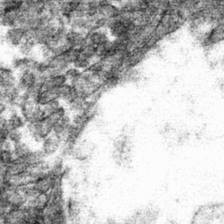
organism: Mouse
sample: Mouse hepatocytes